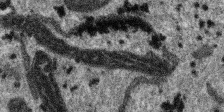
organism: Human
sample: Lung epithelial cells infected with SARS-CoV-2